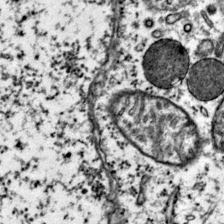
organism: Mouse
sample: Primary visual cortex